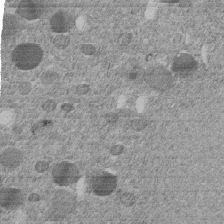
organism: C. elegans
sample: C. elegans embryo early stage